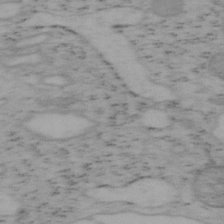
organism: Mouse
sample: OT-I killer T cells with ID8 ovarian cancer cells